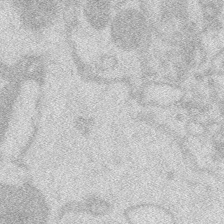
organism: Zebrafish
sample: Macrophage